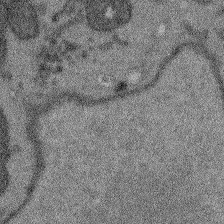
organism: Arabidopsis thaliana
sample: Root tip